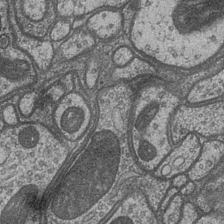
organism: Drosophila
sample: Optic medulla